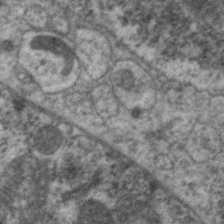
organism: C. elegans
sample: Pharynx